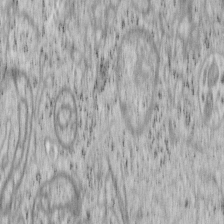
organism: Human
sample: HeLa cells